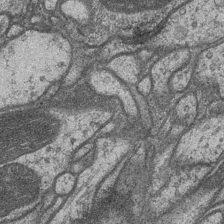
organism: Drosophila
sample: Optic medulla